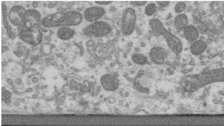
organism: Human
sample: Centriole in RPE cells